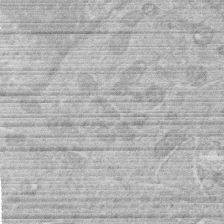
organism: Human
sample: Macrophage cells